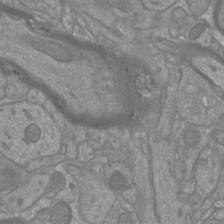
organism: Mouse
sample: Cortical neurons